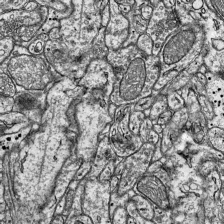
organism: Mouse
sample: Visual Cortex